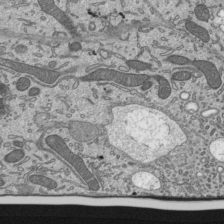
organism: Mouse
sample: Mouse epididymis efferent ductule cilia